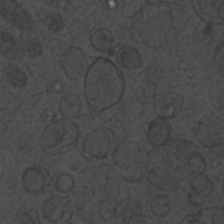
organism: C. elegans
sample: C. elegans embryo